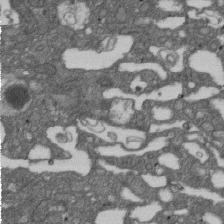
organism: Drosophila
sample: Nephrocyte